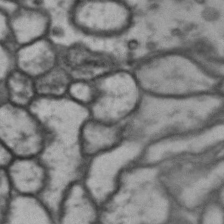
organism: Drosophila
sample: Brain